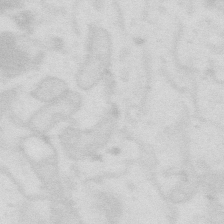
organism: Human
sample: HeLa cells